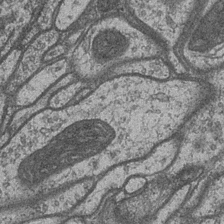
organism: Drosophila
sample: Optic medulla